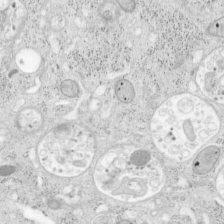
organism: Mouse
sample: OT-I killer T cells with ID8 ovarian cancer cells